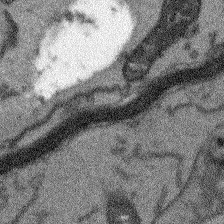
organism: Arabidopsis thaliana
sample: Root tip